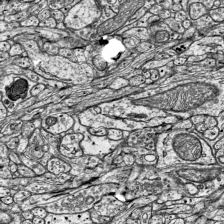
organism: Mouse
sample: Visual Cortex